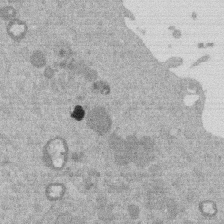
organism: Mouse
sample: Dividing mouse embryo 1 cell stage